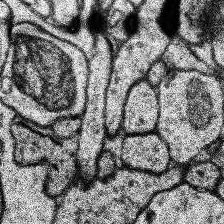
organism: Human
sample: Temporal Lobe